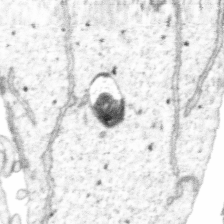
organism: Human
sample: HeLa cells